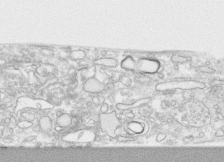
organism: Human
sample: CRL-1474